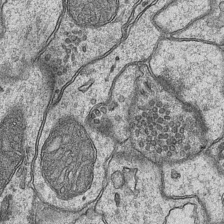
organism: Mouse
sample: CA1 Hippocampus